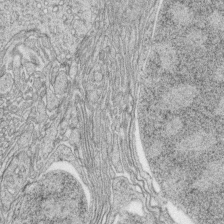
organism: Zebrafish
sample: synaptic ribbons in rod cells and cone cells